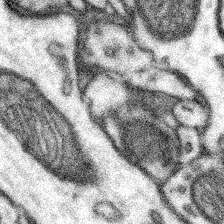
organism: Mouse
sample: Somatosensory cortex neuropil